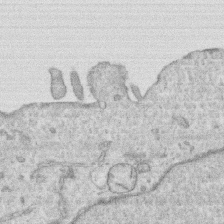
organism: Human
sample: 1205lu cells